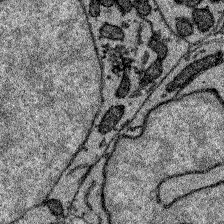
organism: Zebrafish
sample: Larval olfactory bulb